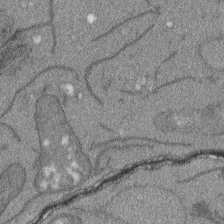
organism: Arabidopsis thaliana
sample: Root tip